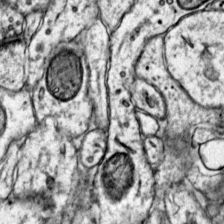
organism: Mouse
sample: Primary visual cortex